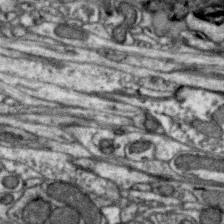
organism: Zebra finch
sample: Brain